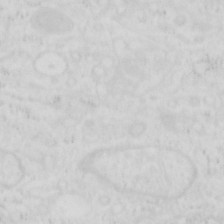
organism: Human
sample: SUM-159 cell